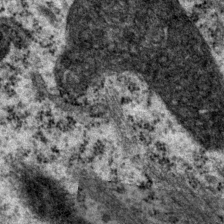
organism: P. pacificus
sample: Pharynx